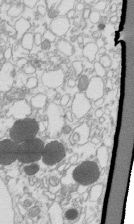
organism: Mouse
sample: Macrophages